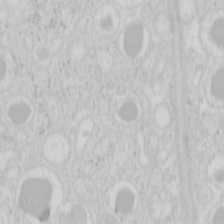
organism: Mouse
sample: Pancreas